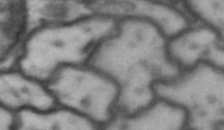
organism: Drosophila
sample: Brain